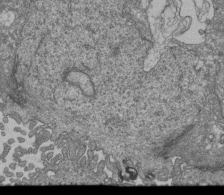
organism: Human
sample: Retinal organoid Rod and Cone cells